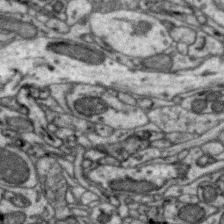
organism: Zebra finch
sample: Brain